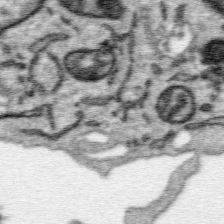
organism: Human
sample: HeLa cells